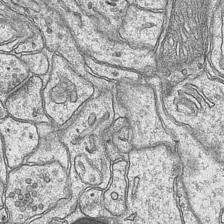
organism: Mouse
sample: CA1 Hippocampus